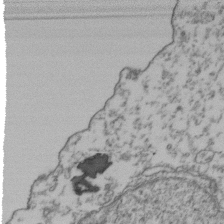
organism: Human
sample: Activated Jurkat CD4+ T cells